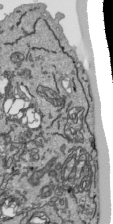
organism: Human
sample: Mitochondria in HCT116 cells